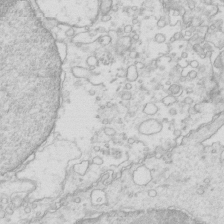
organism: Mouse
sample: Multiciliated cells